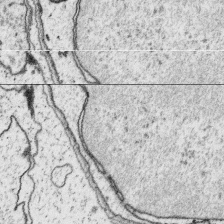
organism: Platynereis dumerilii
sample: Parapodia